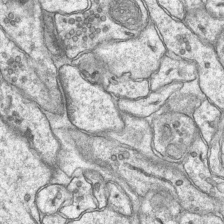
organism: Mouse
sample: CA1 Hippocampus